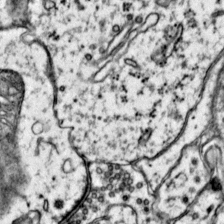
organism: Mouse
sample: Primary visual cortex